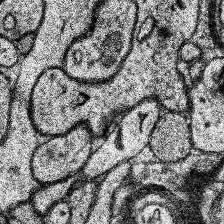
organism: Human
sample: Temporal Lobe